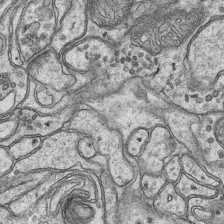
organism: Mouse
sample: CA1 Hippocampus